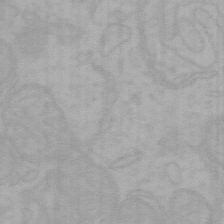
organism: Mouse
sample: Choroid plexus